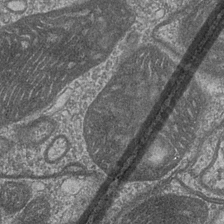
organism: Drosophila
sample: Optic medulla